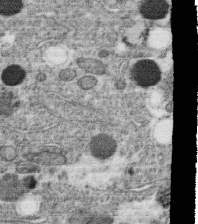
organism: C. elegans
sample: C. elegans oocyte; sperm cells